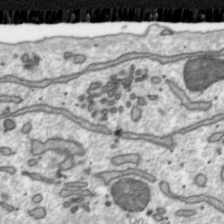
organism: Toxoplasma gondii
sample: Parasites in a vacuole inside a host cell